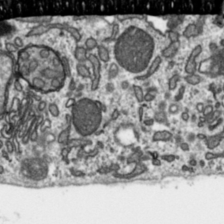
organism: Toxoplasma gondii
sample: Parasites in a vacuole inside a host cell